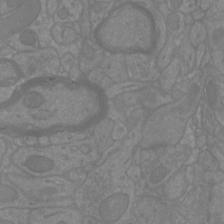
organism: Mouse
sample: Cortical neurons